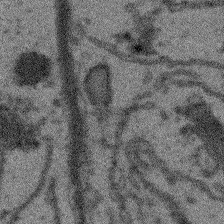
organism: Arabidopsis thaliana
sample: Root tip